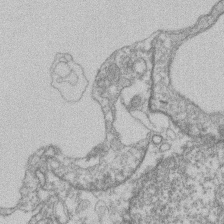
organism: Mouse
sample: T cell stromal cell synapse